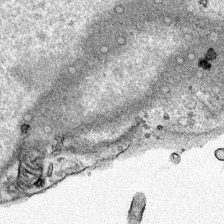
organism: Human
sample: Mitochondria in HCT116 cells